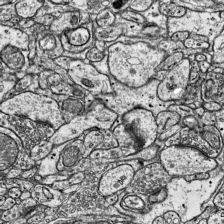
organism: Mouse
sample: Visual Cortex